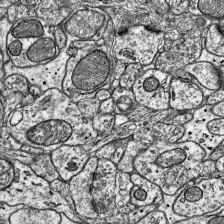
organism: Mouse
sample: Visual Cortex